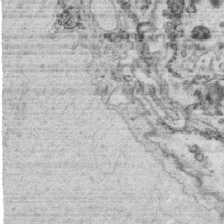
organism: C. elegans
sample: C. elegans oocyte; sperm cells